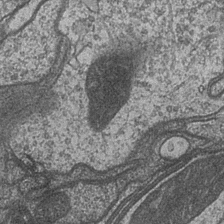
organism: Drosophila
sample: Optic medulla